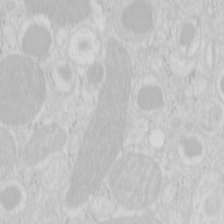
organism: Mouse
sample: Pancreas